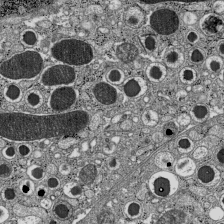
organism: C57BL Mouse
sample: Pancreatic islet